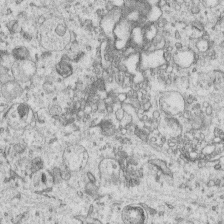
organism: Human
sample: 1205lu cells